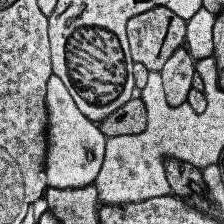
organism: Human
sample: Temporal Lobe